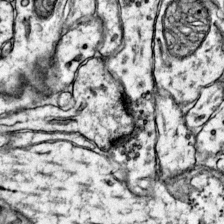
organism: Mouse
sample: Primary visual cortex